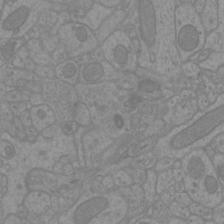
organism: Mouse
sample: Cortical neurons